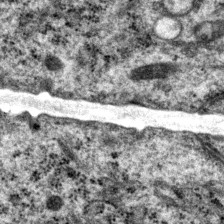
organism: P. pacificus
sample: Pharynx